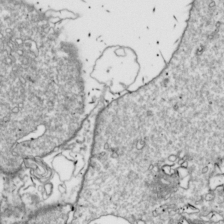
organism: Drosophila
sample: Cell division; meiosis; drosophila spermatocytes